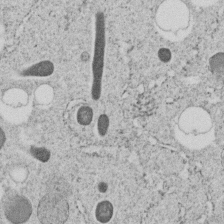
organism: C. elegans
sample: C. elegans embryo early stage